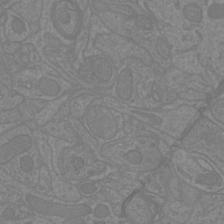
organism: Mouse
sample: Cortical neurons